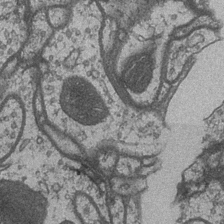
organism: Drosophila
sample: Optic medulla